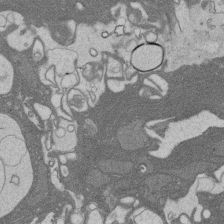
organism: Rat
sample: Salivary granule